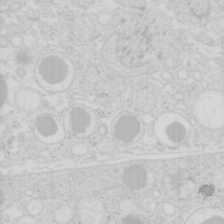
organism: Mouse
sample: Pancreas